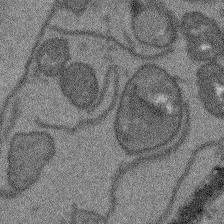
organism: Arabidopsis thaliana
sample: Root tip